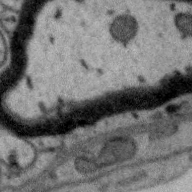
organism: Zebra finch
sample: Brain